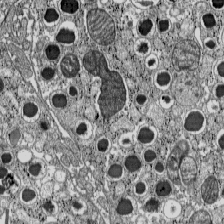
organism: C57BL Mouse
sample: Pancreatic islet